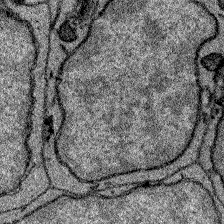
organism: Zebrafish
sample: Larval olfactory bulb